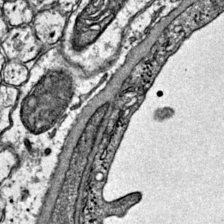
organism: Mouse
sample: Primary visual cortex